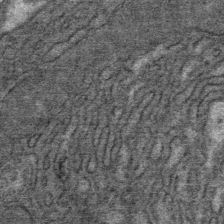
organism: Mouse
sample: Mouse Salivary gland